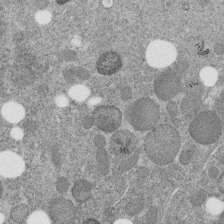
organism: C. elegans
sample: C. elegans embryo early stage